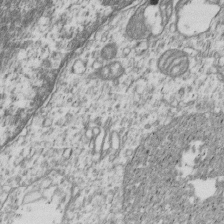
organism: Human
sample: MDA-MB-231 cells